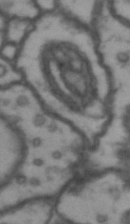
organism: Drosophila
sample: Brain